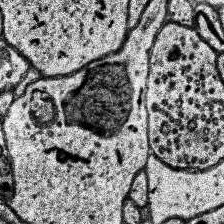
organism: Human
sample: Temporal Lobe